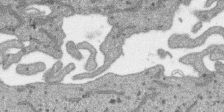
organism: Human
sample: Lung epithelial cells infected with SARS-CoV-2